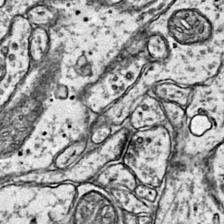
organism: Mouse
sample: Primary visual cortex